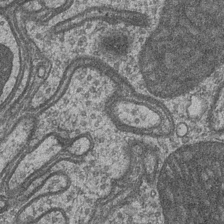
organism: Drosophila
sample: Optic medulla